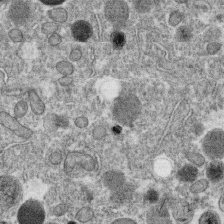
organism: C. elegans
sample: C. elegans oocyte; sperm cells